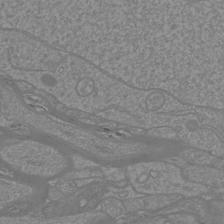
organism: Mouse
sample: Cortical neurons